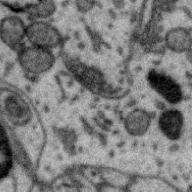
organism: Zebra finch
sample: Brain